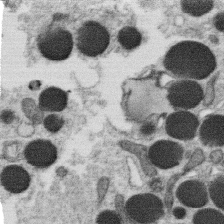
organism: C. elegans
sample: C. elegans oocyte; sperm cells